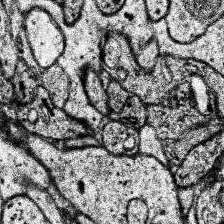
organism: Human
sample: Temporal Lobe